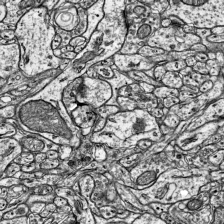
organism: Mouse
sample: Visual Cortex